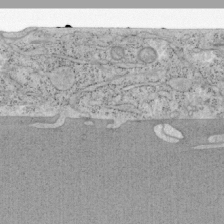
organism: Human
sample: HeLa cells